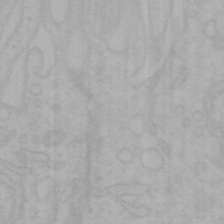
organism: Mouse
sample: Choroid plexus